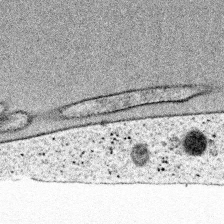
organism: Human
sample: HeLa cells